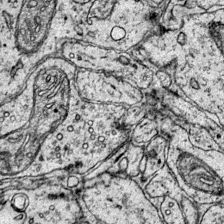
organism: Mouse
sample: Primary visual cortex